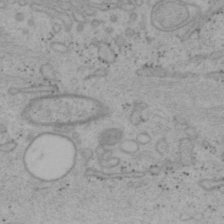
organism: Human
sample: HeLa cells